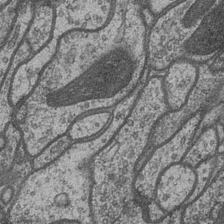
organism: Drosophila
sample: Optic medulla